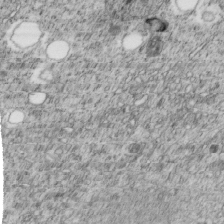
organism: C. elegans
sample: C. elegans embryo early stage